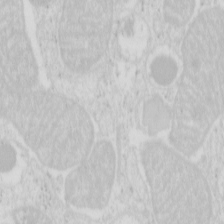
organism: Mouse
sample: Pancreas